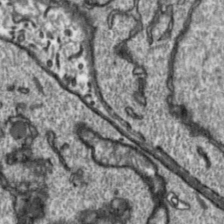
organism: Toxoplasma gondii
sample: Parasites in a vacuole inside a host cell